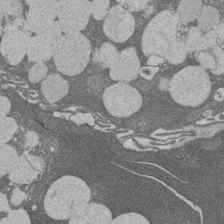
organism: Rat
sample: Salivary granule